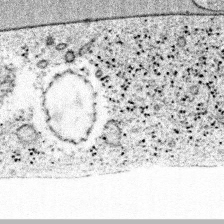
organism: Human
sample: HeLa cells